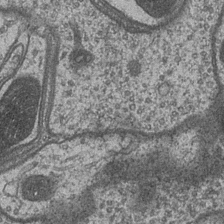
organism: Drosophila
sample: Optic medulla